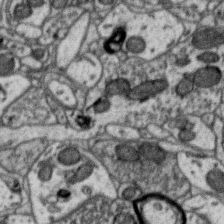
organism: Zebra finch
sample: Brain